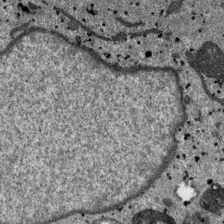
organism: Human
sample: Lung epithelial cells, uninfected (mock) control